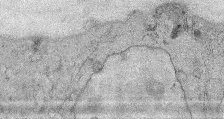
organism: Mouse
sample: Corneal nerves